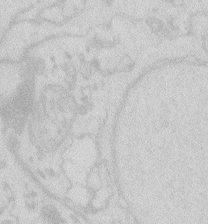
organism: Zebrafish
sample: Macrophage